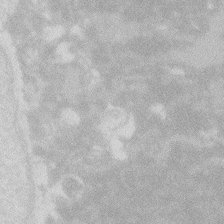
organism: Zebrafish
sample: Macrophage